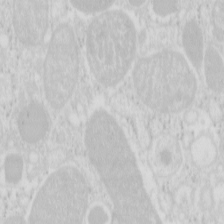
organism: Mouse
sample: Pancreas